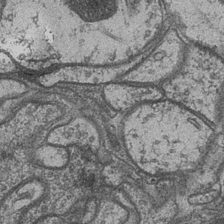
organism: Drosophila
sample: Optic medulla